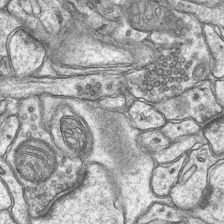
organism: Mouse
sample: CA1 Hippocampus